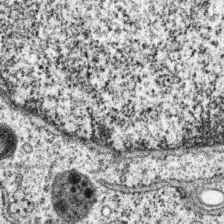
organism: Human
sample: HeLa cells